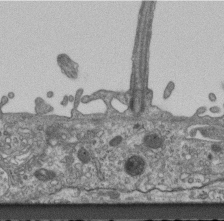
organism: Mouse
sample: Centriole in ependymal cells